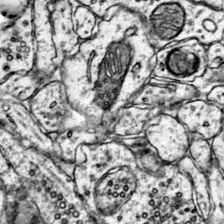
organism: Mouse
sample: Primary visual cortex